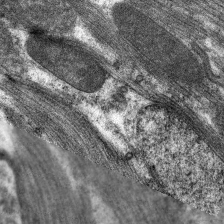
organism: C. elegans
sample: Pharynx